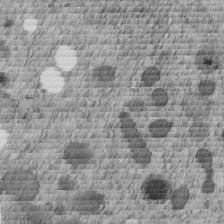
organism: C. elegans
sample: C. elegans embryo early stage